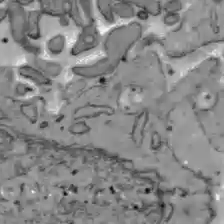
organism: C57BL Mouse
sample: Liver